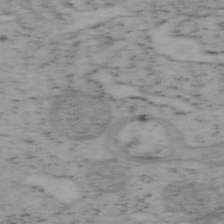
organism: Mouse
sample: OT-I killer T cells with ID8 ovarian cancer cells